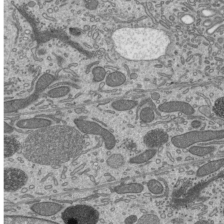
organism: Mouse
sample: Mouse epididymis efferent ductule cilia